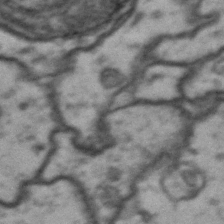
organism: Drosophila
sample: Brain